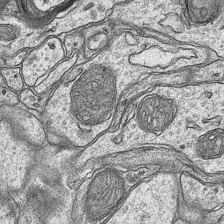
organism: Mouse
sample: CA1 Hippocampus